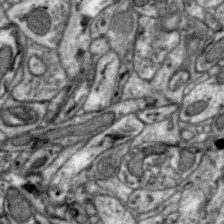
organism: Zebra finch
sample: Brain